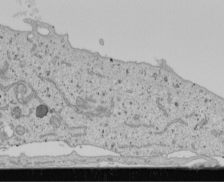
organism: Human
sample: Mitochondria in U2OS cells